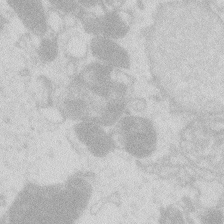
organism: Zebrafish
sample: Macrophage